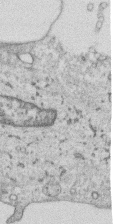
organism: Human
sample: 1205lu cells